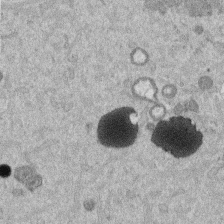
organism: Mouse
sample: Dividing mouse embryo 1 cell stage